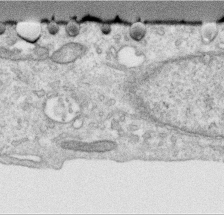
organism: Human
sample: Centriole in RPE cells